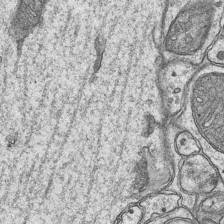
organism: Mouse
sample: CA1 Hippocampus